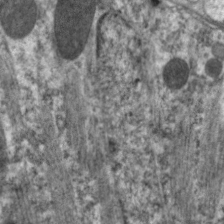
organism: C. elegans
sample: Pharynx